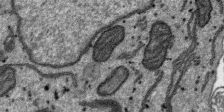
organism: Human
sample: Lung epithelial cells, uninfected (mock) control